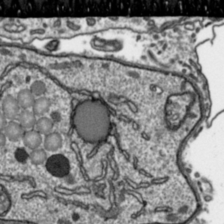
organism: Toxoplasma gondii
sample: Parasites in a vacuole inside a host cell